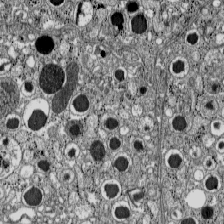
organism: C57BL Mouse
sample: Pancreatic islet